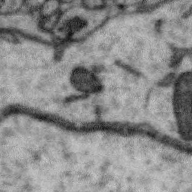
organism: Zebra finch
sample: Brain